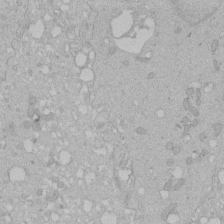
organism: Human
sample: Melanocyte Keratinocyte synapse skin construct